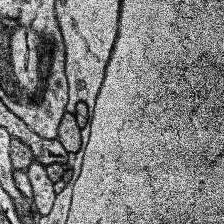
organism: Human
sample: Temporal Lobe